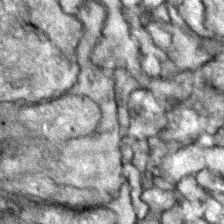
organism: Zebrafish